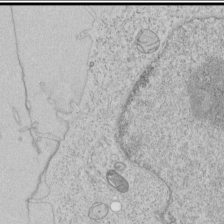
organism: Human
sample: Mitochondria in HCT116 cells